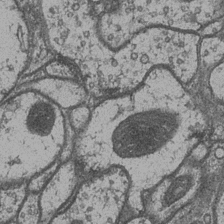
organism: Drosophila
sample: Optic medulla